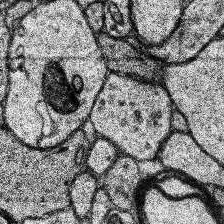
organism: Human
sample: Temporal Lobe